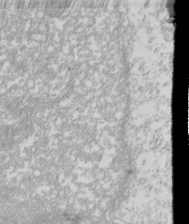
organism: Xenopus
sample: Cilia; centrioles in frog embryo cells